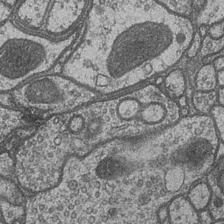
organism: Drosophila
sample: Optic medulla